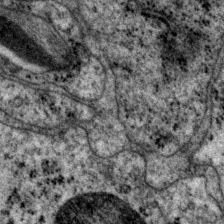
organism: P. pacificus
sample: Pharynx